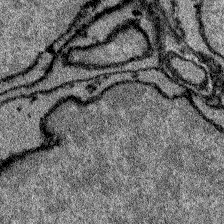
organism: Zebrafish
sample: Larval olfactory bulb